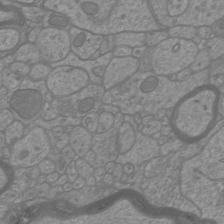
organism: Mouse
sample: Cortical neurons